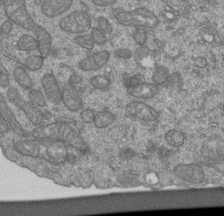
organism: Human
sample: Retinal organoid Rod and Cone cells